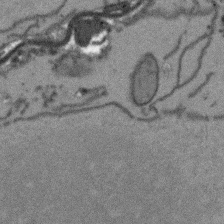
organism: Arabidopsis thaliana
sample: Root tip